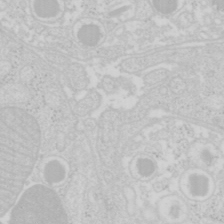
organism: Mouse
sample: Pancreas